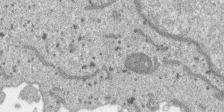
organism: Human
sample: Lung epithelial cells infected with SARS-CoV-2